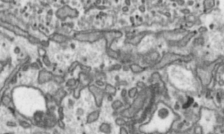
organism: Toxoplasma gondii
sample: Parasites in a vacuole inside a host cell